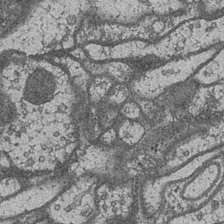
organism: Drosophila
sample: Optic medulla